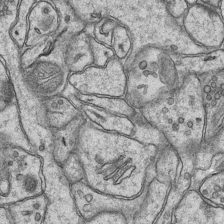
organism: Mouse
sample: CA1 Hippocampus